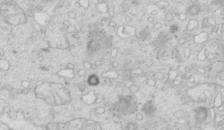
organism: Mouse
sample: Multiciliated cells